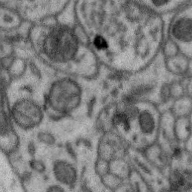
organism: Zebra finch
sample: Brain